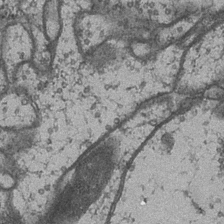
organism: Drosophila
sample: Optic medulla